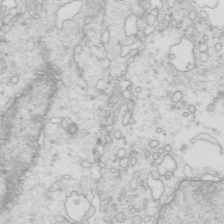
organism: Mouse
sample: Multiciliated cells